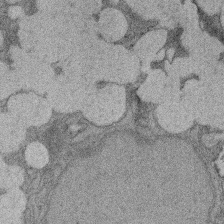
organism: Rat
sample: Salivary granule